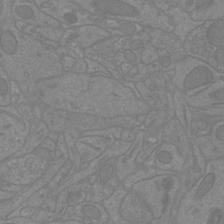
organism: Mouse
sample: Cortical neurons